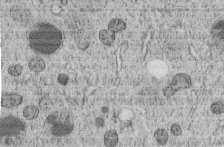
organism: C. elegans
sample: C. elegans embryo early stage